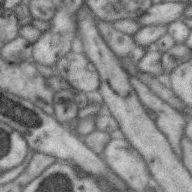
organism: Zebra finch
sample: Brain